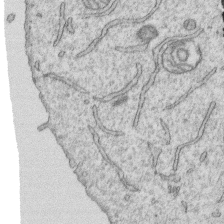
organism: Human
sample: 1205lu cells